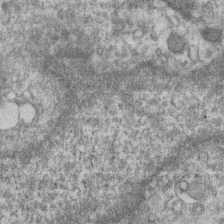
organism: Mouse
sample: T cell stromal cell synapse